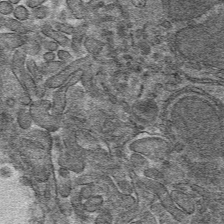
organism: Mouse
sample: Mouse hepatocytes